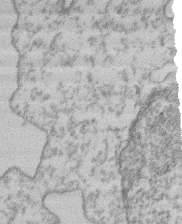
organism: Mouse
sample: T cell stromal cell synapse